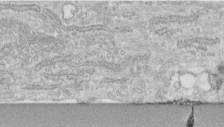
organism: Human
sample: Centriole in fibroblast cells